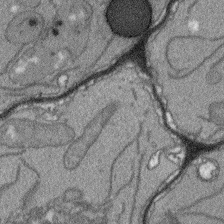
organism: Arabidopsis thaliana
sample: Root tip